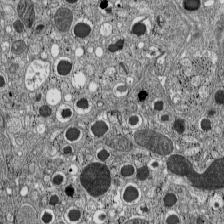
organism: C57BL Mouse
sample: Pancreatic islet